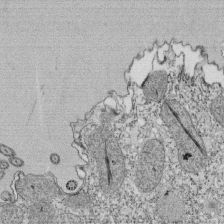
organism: Tetrahymena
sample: Cilia in tetrahymena